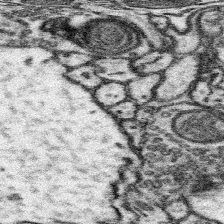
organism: Mouse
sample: Somatosensory cortex neuropil